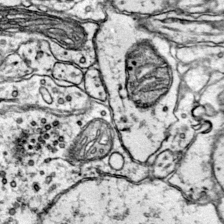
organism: Mouse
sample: Primary visual cortex